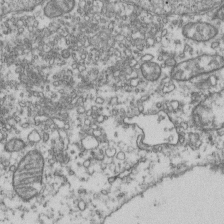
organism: Human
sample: Activated Jurkat CD4+ T cells